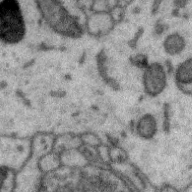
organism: Zebra finch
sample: Brain